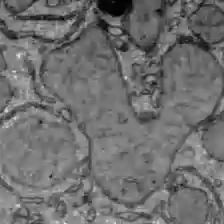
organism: C57BL Mouse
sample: Liver